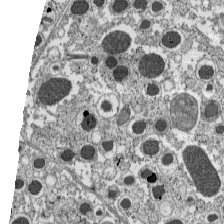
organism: C57BL Mouse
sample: Pancreatic islet